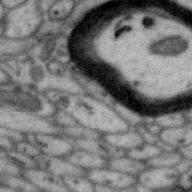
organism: Zebra finch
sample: Brain